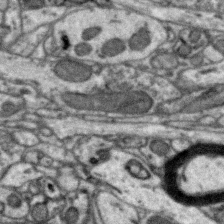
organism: Zebra finch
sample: Brain